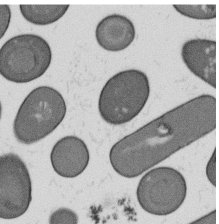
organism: B. subtilis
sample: Bacterial spore